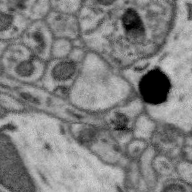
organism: Zebra finch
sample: Brain